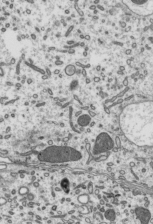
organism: Mouse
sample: Mouse epididymis efferent ductule cilia